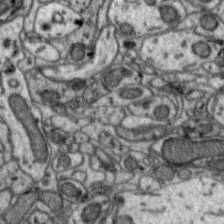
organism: Zebra finch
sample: Brain